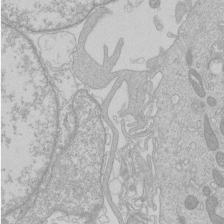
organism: Human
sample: Macrophage cells